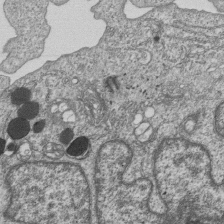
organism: Human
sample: MDA-MB-231 cells